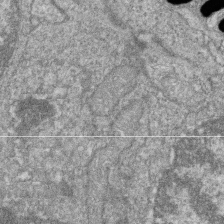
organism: Zebrafish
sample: Cilia; retinal pigment epithelium